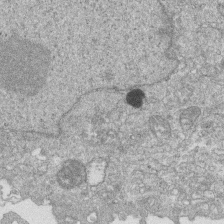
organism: Human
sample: HeLa cell HIV synapse